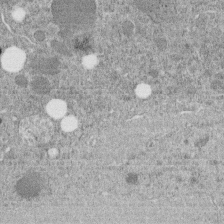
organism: C. elegans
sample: C. elegans embryo early stage